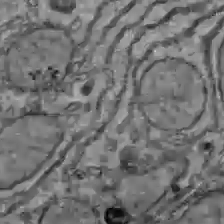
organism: C57BL Mouse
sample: Liver